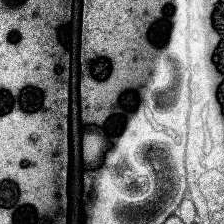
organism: Human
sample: Temporal Lobe